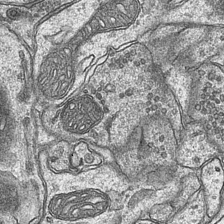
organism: Mouse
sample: CA1 Hippocampus